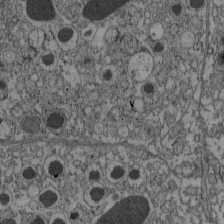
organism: C57BL Mouse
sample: Pancreatic islet